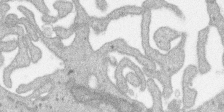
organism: Human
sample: Lung epithelial cells infected with SARS-CoV-2